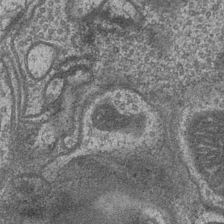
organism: Drosophila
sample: Optic medulla